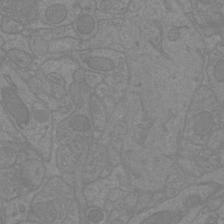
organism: Mouse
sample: Cortical neurons